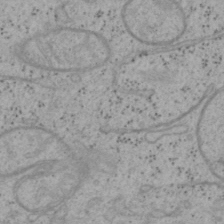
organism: Human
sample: HeLa cells